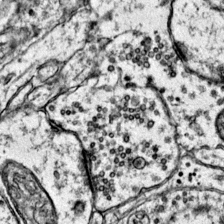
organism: Mouse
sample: Primary visual cortex